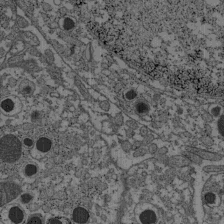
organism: C57BL Mouse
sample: Pancreatic islet